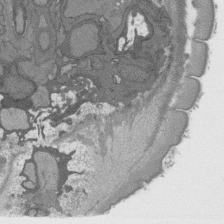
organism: C. elegans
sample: AFD neurons C. elegans